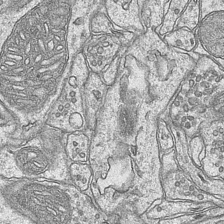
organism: Mouse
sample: CA1 Hippocampus